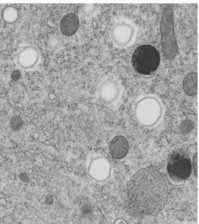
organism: C. elegans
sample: C. elegans embryo early stage